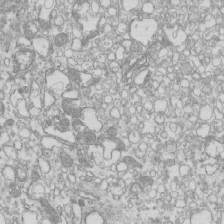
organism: Mouse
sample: Macrophages